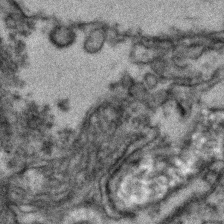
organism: Zebrafish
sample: Zebrafish embryo